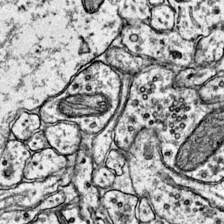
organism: Mouse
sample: Primary visual cortex